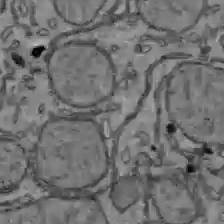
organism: C57BL Mouse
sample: Liver